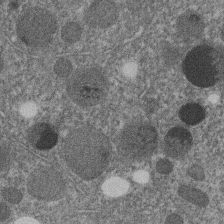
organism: C. elegans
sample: C. elegans embryo early stage